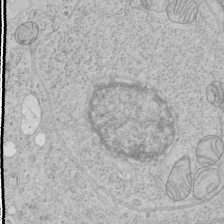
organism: Human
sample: Mitochondria in HCT116 cells